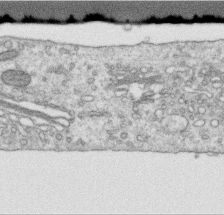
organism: Human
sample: Centriole in RPE cells